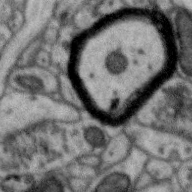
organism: Zebra finch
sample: Brain